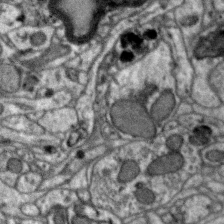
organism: Zebra finch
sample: Brain